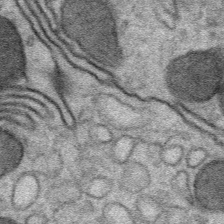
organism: Mouse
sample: Mouse Salivary gland